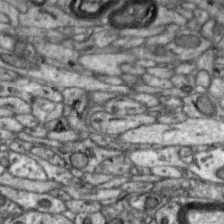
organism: Zebra finch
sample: Brain